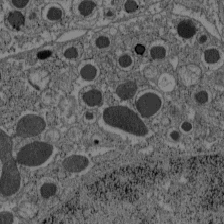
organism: C57BL Mouse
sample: Pancreatic islet